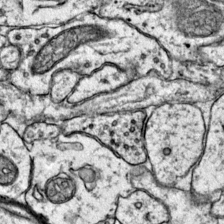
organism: Mouse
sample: Primary visual cortex